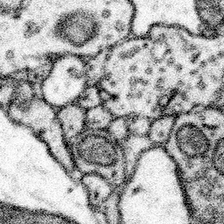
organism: Mouse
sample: Somatosensory cortex neuropil